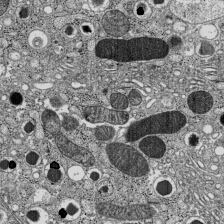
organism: C57BL Mouse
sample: Pancreatic islet